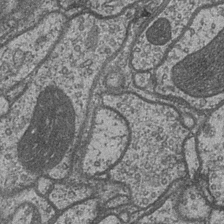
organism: Drosophila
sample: Optic medulla